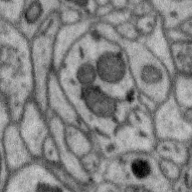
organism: Zebra finch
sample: Brain